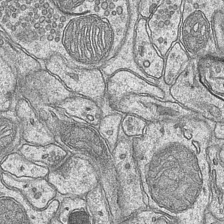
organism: Mouse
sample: CA1 Hippocampus